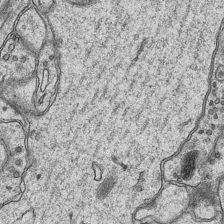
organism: Mouse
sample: CA1 Hippocampus